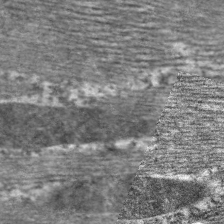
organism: C. elegans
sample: Pharynx